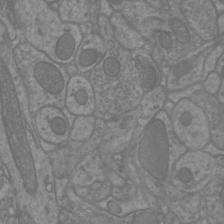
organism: Mouse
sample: Cortical neurons